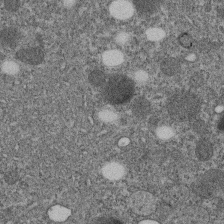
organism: C. elegans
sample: C. elegans embryo early stage